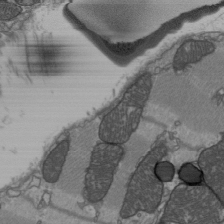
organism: C57BL Mouse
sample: Heart